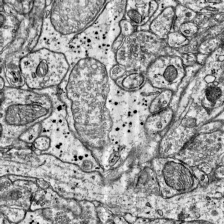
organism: Mouse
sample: Visual Cortex